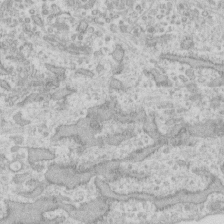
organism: Human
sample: Fibroblast cells